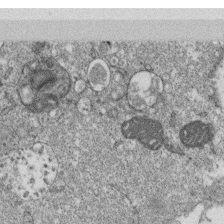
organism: African green monkey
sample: Vero E6 cells infected with SARS-CoV-2